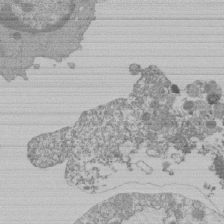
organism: Mouse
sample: Activated Pmel transgenic CD8+ T Cells